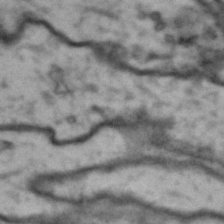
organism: Drosophila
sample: Brain